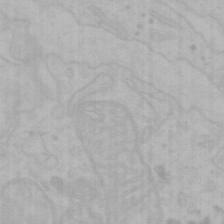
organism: Mouse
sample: Choroid plexus